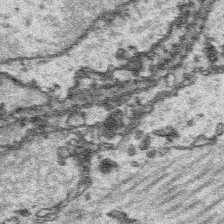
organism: Platynereis dumerilii